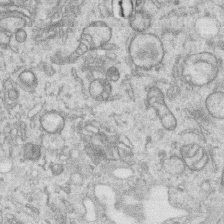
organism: Human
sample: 1205lu cells